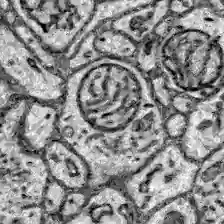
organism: Zebrafish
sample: Brain